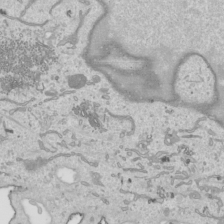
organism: Human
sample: Mitochondria in HCT116 cells